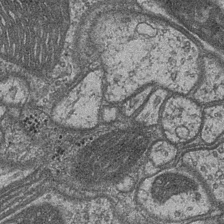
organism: Drosophila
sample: Optic medulla